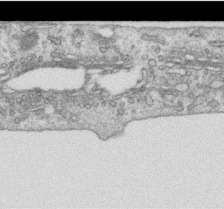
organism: Human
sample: Centriole in RPE cells